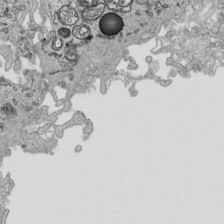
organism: Human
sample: Mitochondria in HCT116 cells